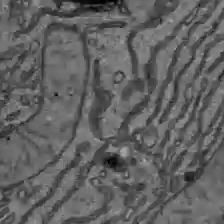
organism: C57BL Mouse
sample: Liver